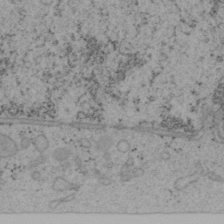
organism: Human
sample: HeLa cells